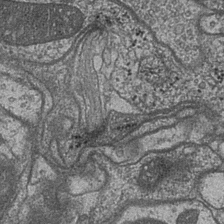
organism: Drosophila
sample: Optic medulla